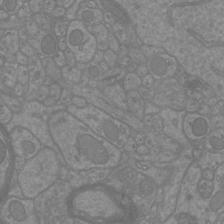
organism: Mouse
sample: Cortical neurons